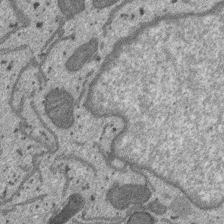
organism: Human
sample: Lung epithelial cells infected with SARS-CoV-2